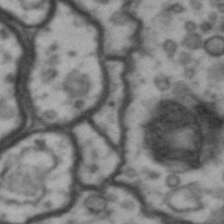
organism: Drosophila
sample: Brain